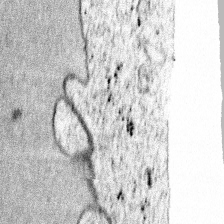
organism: Human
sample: HeLa cells